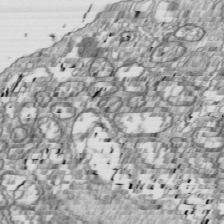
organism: Drosophila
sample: Cell division; meiosis; drosophila spermatocytes